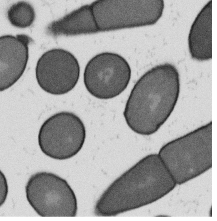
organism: B. subtilis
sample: Bacterial spore